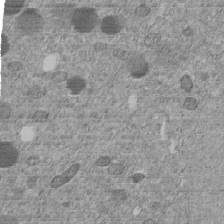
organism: C. elegans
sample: C. elegans embryo early stage